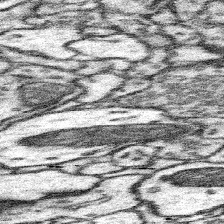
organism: Mouse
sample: Somatosensory cortex neuropil